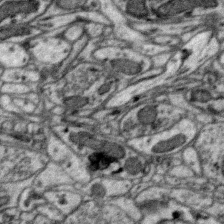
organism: Zebra finch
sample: Brain